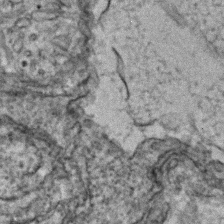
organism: Zebrafish